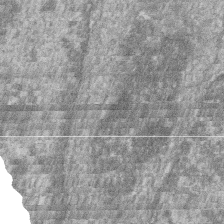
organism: Zebrafish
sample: Cilia; retinal pigment epithelium